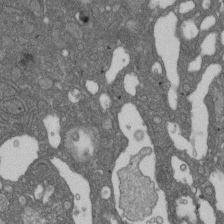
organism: Drosophila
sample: Nephrocyte